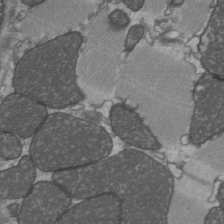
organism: C57BL Mouse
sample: Heart